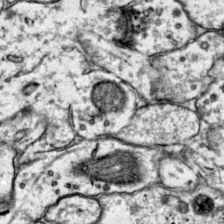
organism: Mouse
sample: Primary visual cortex